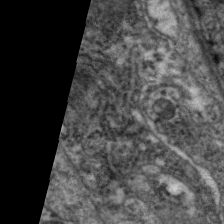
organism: C. elegans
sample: Pharynx